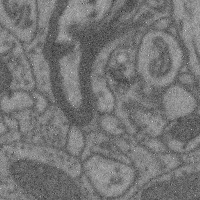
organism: Mouse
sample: Cerebral cortex